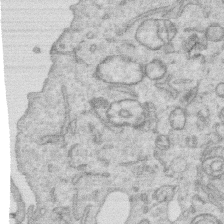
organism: Human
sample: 1205lu cells